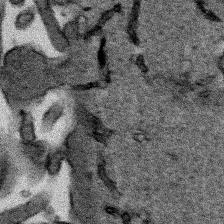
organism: Human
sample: Mitochondria in HCT116 cells